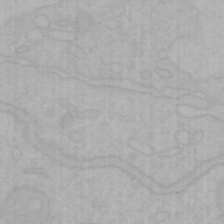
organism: Mouse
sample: Choroid plexus